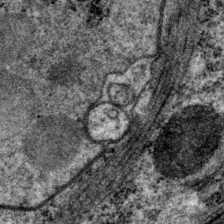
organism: P. pacificus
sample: Pharynx